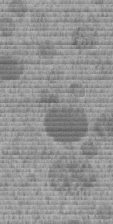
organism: C. elegans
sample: C. elegans embryo early stage